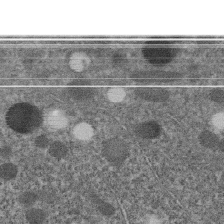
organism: C. elegans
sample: C. elegans embryo early stage